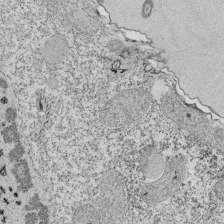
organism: Tetrahymena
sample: Cilia in tetrahymena